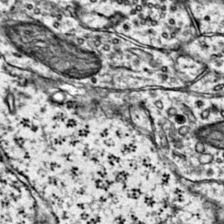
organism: Mouse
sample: Primary visual cortex